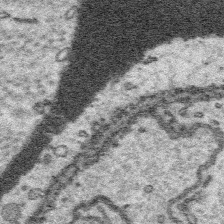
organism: Platynereis dumerilii